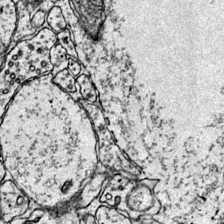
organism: Mouse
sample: Primary visual cortex